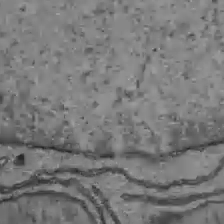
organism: C57BL Mouse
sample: Liver